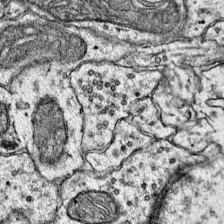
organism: Mouse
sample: Primary visual cortex